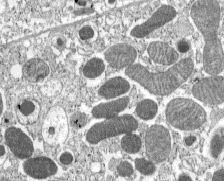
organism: C57BL Mouse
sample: Pancreatic islet